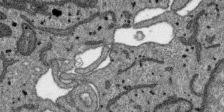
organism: Human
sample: Lung epithelial cells, uninfected (mock) control